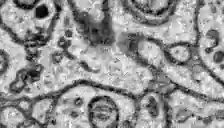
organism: Zebrafish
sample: Brain